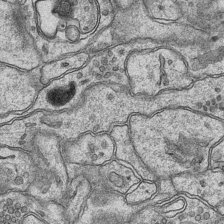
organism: Mouse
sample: CA1 Hippocampus